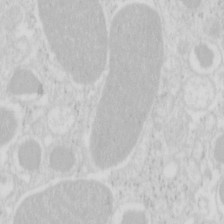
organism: Mouse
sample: Pancreas